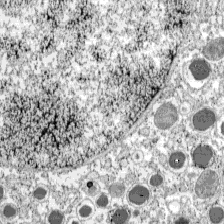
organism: C57BL Mouse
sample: Pancreatic islet